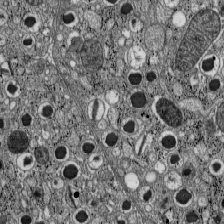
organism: C57BL Mouse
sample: Pancreatic islet